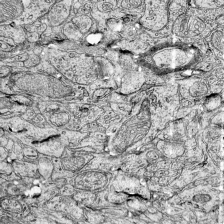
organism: Mouse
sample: Visual Cortex